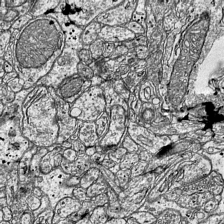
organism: Mouse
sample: Visual Cortex